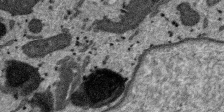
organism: Human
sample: Lung epithelial cells, uninfected (mock) control